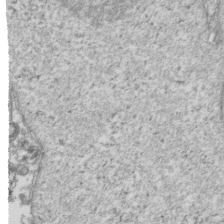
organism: Human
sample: Activated Jurkat CD4+ T cells